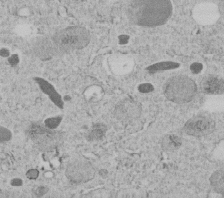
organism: C. elegans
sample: C. elegans embryo early stage